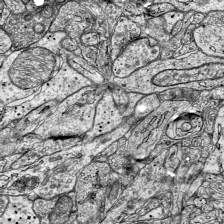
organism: Mouse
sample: Visual Cortex